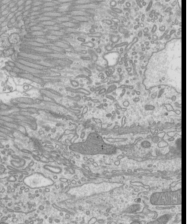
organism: Mouse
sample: Cilia; mouse epididymis